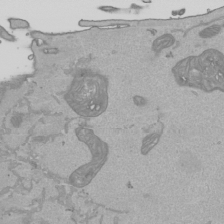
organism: Human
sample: Mitochondria in HCT116 cells